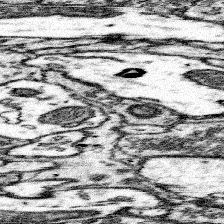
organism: Mouse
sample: Somatosensory cortex neuropil